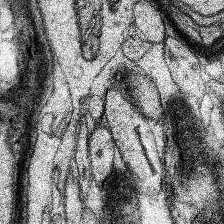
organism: Human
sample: Temporal Lobe